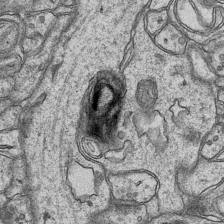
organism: Mouse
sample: CA1 Hippocampus